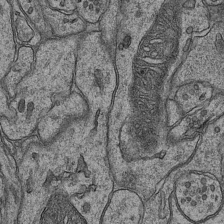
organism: Mouse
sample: CA1 Hippocampus